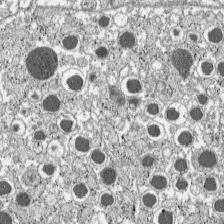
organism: C57BL Mouse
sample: Pancreatic islet